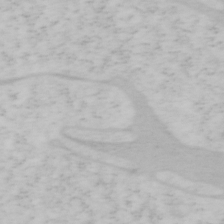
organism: Mouse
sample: OT-I killer T cells with ID8 ovarian cancer cells